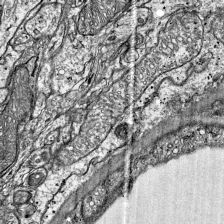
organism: Mouse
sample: Visual Cortex